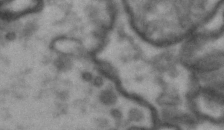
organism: Drosophila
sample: Brain